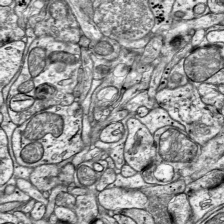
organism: Mouse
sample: Visual Cortex